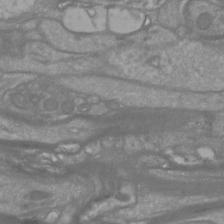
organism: Mouse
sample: Cortical neurons